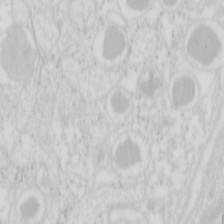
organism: Mouse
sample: Pancreas